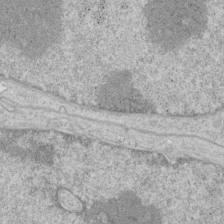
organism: Human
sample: Mitochondria in HCT116 cells